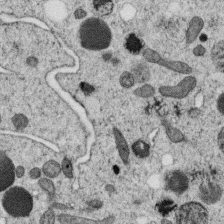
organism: C. elegans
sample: C. elegans oocyte; sperm cells